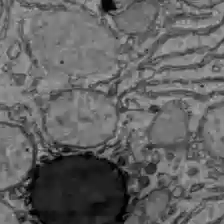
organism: C57BL Mouse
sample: Liver